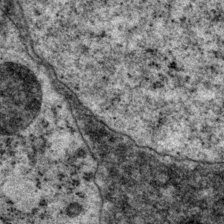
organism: P. pacificus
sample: Pharynx